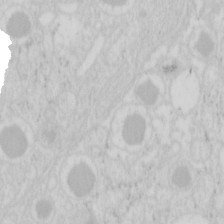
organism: Mouse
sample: Pancreas